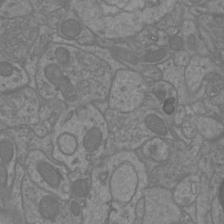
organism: Mouse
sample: Cortical neurons